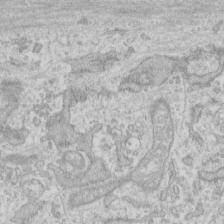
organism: Human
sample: Fibroblast cells